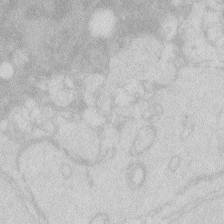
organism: Zebrafish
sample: Macrophage